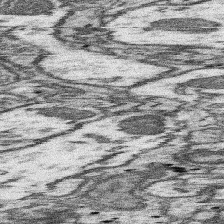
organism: Mouse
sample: Somatosensory cortex neuropil